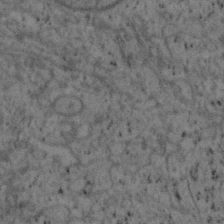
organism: Human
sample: HeLa cells